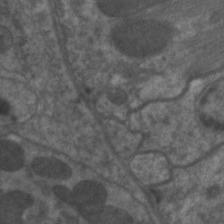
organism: C. elegans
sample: Pharynx